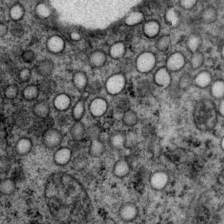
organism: P. pacificus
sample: Pharynx